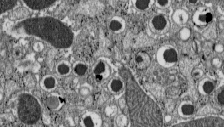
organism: C57BL Mouse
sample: Pancreatic islet